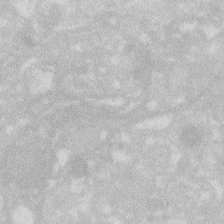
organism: Zebrafish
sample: Macrophage